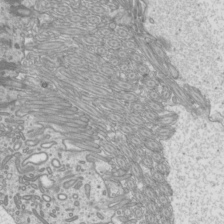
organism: Mouse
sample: Cilia; mouse epididymis